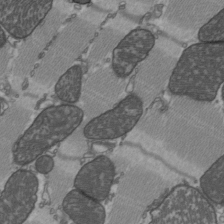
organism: C57BL Mouse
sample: Heart